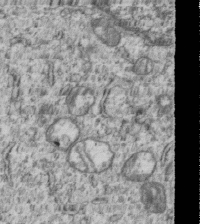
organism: Human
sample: MDA-MB-231 cells